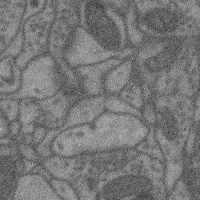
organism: Mouse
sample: Cerebral cortex